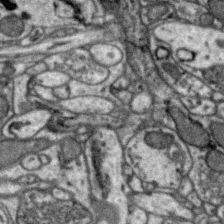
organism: Zebra finch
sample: Brain